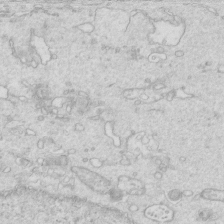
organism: Mouse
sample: Multiciliated cells